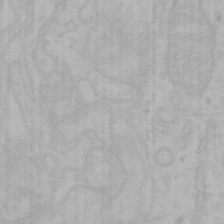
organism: Mouse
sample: Choroid plexus